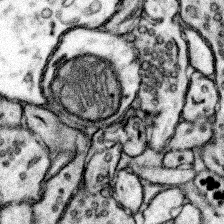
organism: Mouse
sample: Somatosensory cortex neuropil